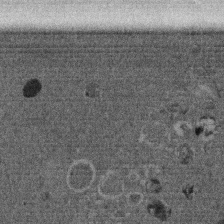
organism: Mouse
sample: Dividing mouse embryo 1 cell stage